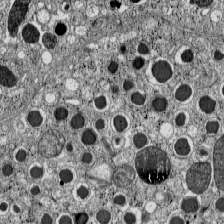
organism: C57BL Mouse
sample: Pancreatic islet